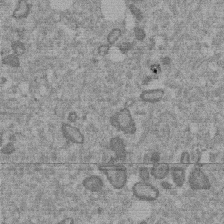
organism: Mouse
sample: Dividing mouse embryo 1 cell stage